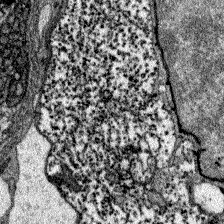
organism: Zebrafish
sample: Larval olfactory bulb